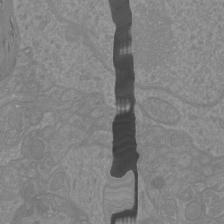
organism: Mouse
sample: Cortical neurons